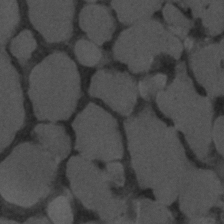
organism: C. elegans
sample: C. elegans embryo